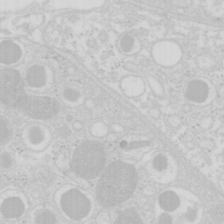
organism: Mouse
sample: Pancreas